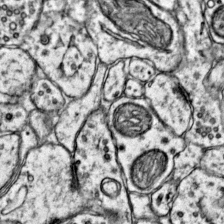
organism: Mouse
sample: Primary visual cortex